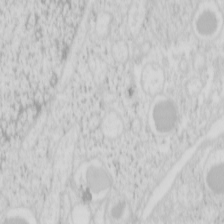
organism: Mouse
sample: Pancreas